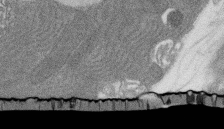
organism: Rat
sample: Salivary granule